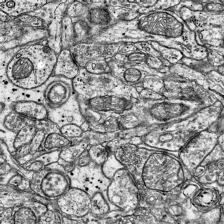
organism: Mouse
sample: Visual Cortex